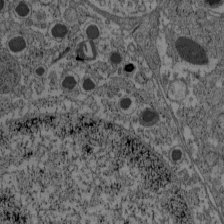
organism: C57BL Mouse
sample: Pancreatic islet